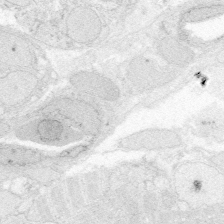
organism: Zebrafish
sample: Whole-Brain